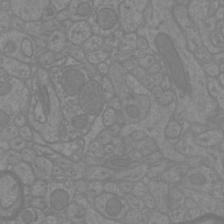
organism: Mouse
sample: Cortical neurons